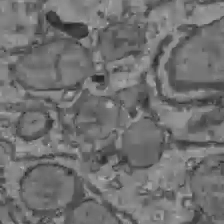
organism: C57BL Mouse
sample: Liver